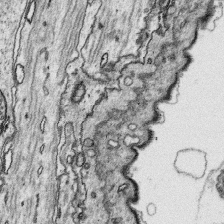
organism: Platynereis dumerilii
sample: Parapodia